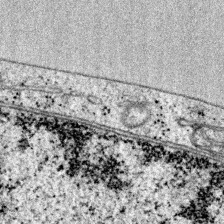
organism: Human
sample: HeLa cells